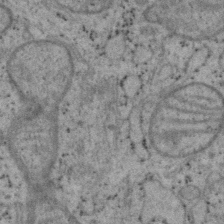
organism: Human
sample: HeLa cells